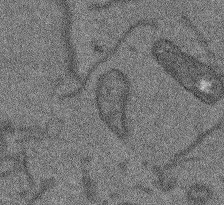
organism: Arabidopsis thaliana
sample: Root tip